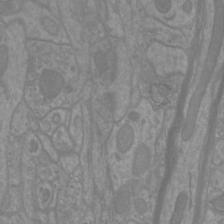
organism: Mouse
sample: Cortical neurons